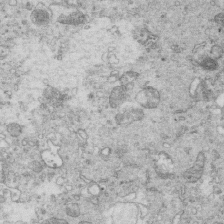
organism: Mouse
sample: Multiciliated cells